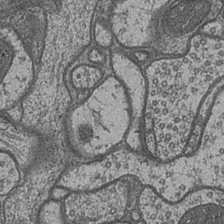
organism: Drosophila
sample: Optic medulla